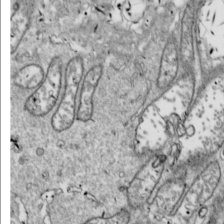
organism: Drosophila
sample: Cell division; meiosis; drosophila spermatocytes